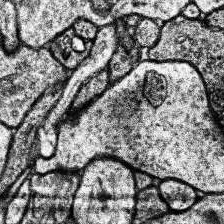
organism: Human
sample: Temporal Lobe